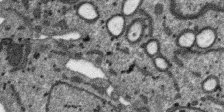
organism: Human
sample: Lung epithelial cells infected with SARS-CoV-2